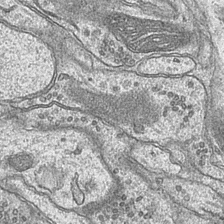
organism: Mouse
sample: CA1 Hippocampus